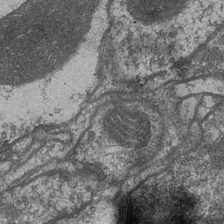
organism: Drosophila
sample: Optic medulla